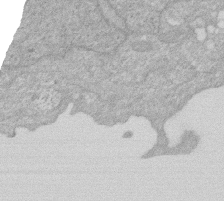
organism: Human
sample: HIV infected U937 cells